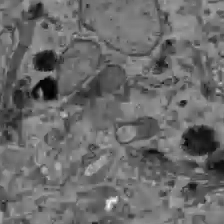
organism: C57BL Mouse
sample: Liver